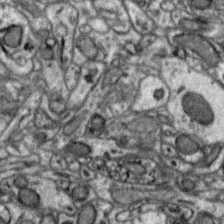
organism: Zebra finch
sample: Brain